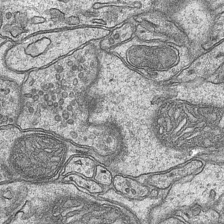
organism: Mouse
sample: CA1 Hippocampus